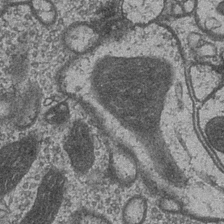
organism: Drosophila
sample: Optic medulla